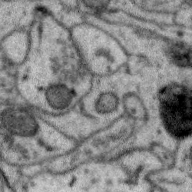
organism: Zebra finch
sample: Brain